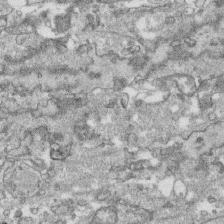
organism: Human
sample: CRL-1474